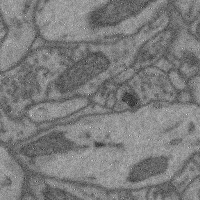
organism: Mouse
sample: Cerebral cortex